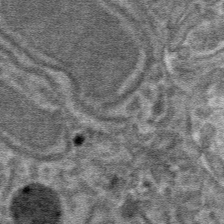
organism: Mouse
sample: Mouse hepatocytes